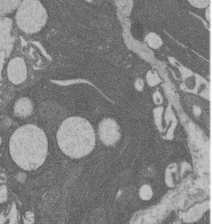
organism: Rat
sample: Salivary granule